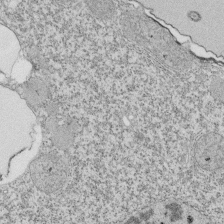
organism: Tetrahymena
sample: Cilia in tetrahymena